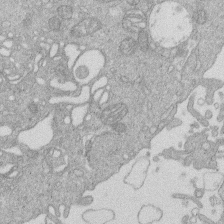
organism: Human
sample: Macrophage cells